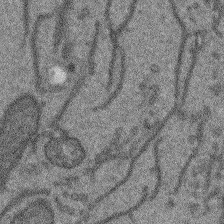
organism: Arabidopsis thaliana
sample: Root tip